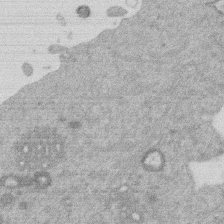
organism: Mouse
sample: Dividing mouse embryo 1 cell stage